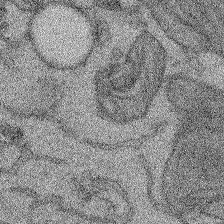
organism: Human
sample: HeLa cells